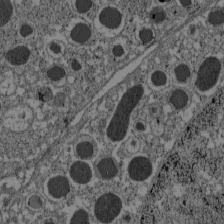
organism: C57BL Mouse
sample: Pancreatic islet